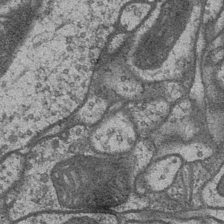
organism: Drosophila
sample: Optic medulla